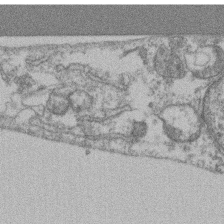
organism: Mouse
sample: T cell stromal cell synapse